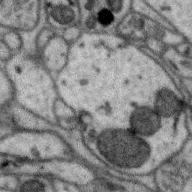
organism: Zebra finch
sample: Brain